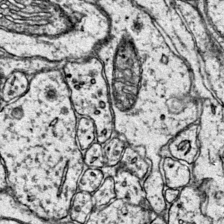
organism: Mouse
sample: Primary visual cortex